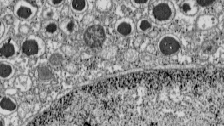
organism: C57BL Mouse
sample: Pancreatic islet